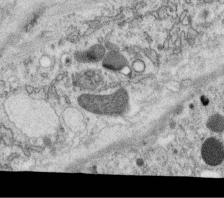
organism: C. elegans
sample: C. elegans oocyte; sperm cells